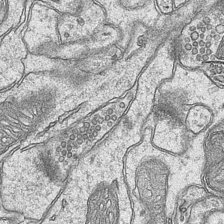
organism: Mouse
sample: CA1 Hippocampus